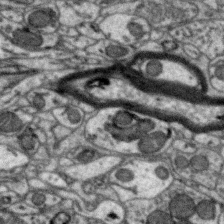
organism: Zebra finch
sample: Brain